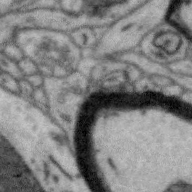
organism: Zebra finch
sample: Brain